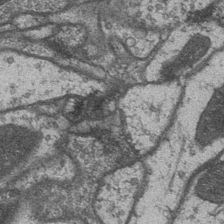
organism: Drosophila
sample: Optic medulla